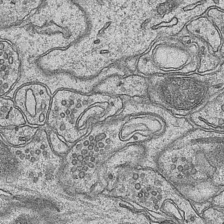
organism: Mouse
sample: CA1 Hippocampus